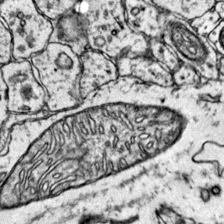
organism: Mouse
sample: Primary visual cortex